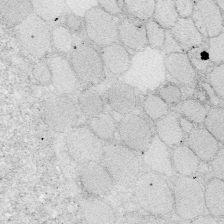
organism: Zebrafish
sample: Whole-Brain